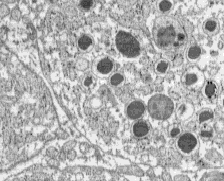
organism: C57BL Mouse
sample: Pancreatic islet